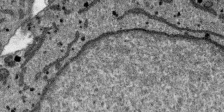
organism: Human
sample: Lung epithelial cells, uninfected (mock) control